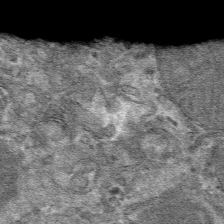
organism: Mouse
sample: Mouse hepatocytes